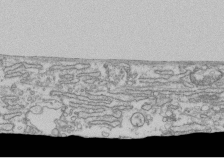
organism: Human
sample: Fibroblast cells